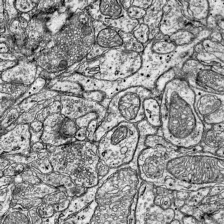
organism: Mouse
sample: Visual Cortex